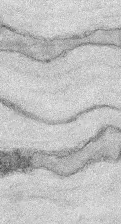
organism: Mouse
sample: Corneal nerves